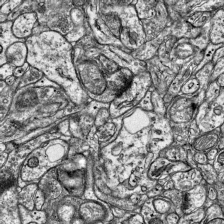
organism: Mouse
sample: Visual Cortex